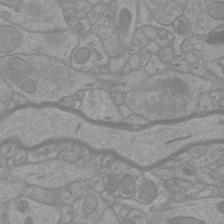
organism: Mouse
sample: Cortical neurons